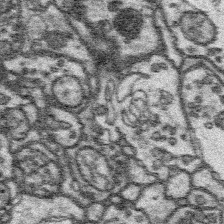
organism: Platynereis dumerilii